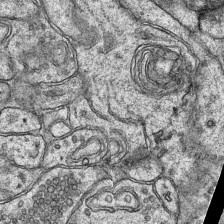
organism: Mouse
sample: CA1 Hippocampus